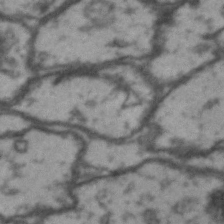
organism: Drosophila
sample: Brain